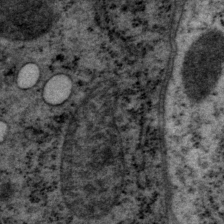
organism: P. pacificus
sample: Pharynx